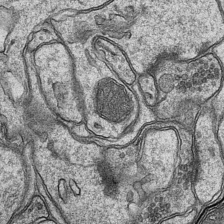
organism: Mouse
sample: CA1 Hippocampus